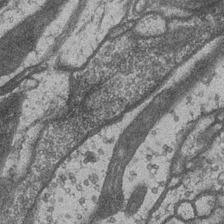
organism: Drosophila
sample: Optic medulla